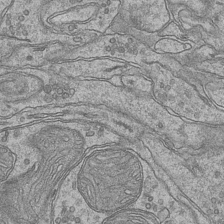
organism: Mouse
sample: CA1 Hippocampus